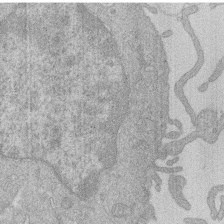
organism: Human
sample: Macrophage cells